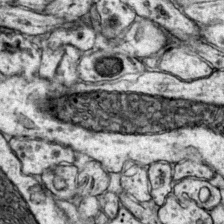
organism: Mouse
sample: Primary visual cortex